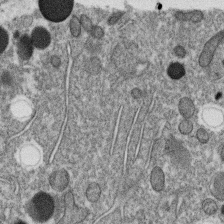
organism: C. elegans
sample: C. elegans oocyte; sperm cells